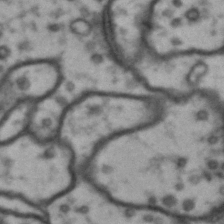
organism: Drosophila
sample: Brain